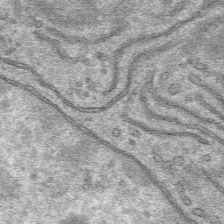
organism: Mouse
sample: Mouse hepatocytes